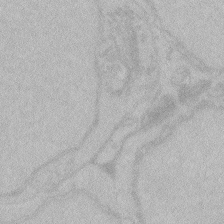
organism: Zebrafish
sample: Macrophage infected with Toxoplasma gondii